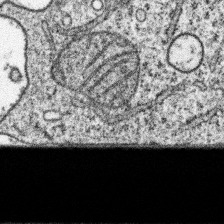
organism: Human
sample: HeLa cells